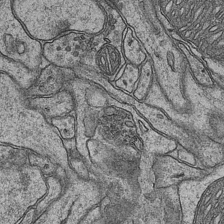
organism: Mouse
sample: CA1 Hippocampus